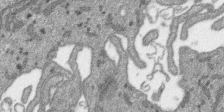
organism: Human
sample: Lung epithelial cells infected with SARS-CoV-2